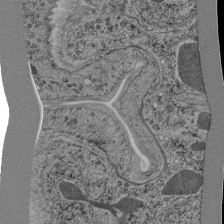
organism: C. elegans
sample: C. elegans pharynx